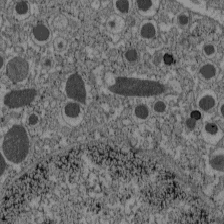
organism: C57BL Mouse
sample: Pancreatic islet